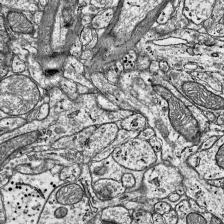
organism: Mouse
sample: Visual Cortex